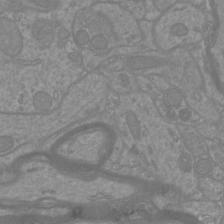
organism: Mouse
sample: Cortical neurons